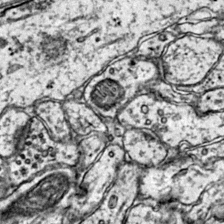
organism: Mouse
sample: Primary visual cortex